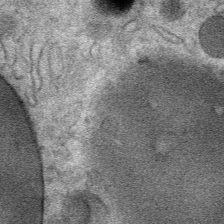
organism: Mouse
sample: Mouse Salivary gland